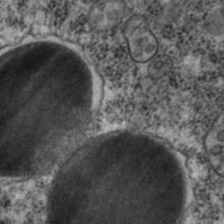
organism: C. elegans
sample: C. elegans embryo